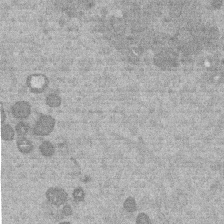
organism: Mouse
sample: Dividing mouse embryo 1 cell stage